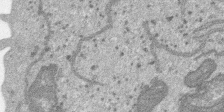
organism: Human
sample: Lung epithelial cells infected with SARS-CoV-2